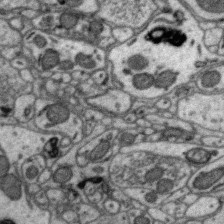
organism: Zebra finch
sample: Brain